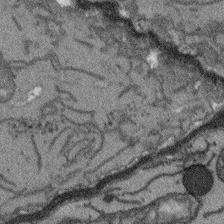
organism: Arabidopsis thaliana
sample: Root tip